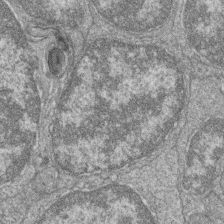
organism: Zebrafish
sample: Cilia; retinal pigment epithelium